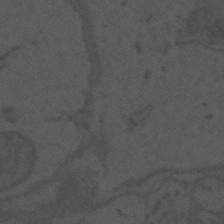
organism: Mouse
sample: Suprachiasmatic nucleus